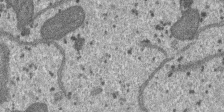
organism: Human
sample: Lung epithelial cells infected with SARS-CoV-2